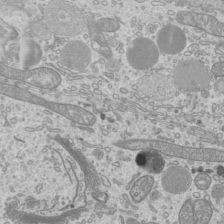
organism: Mouse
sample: Cilia; mouse epididymis